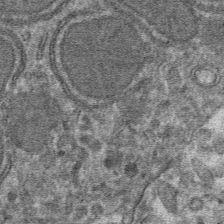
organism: Mouse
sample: Mouse hepatocytes